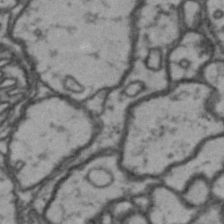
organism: Drosophila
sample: Brain